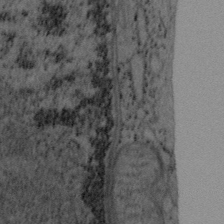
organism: Human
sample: HeLa cells